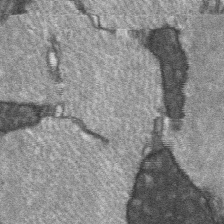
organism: C57BL Mouse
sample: Soleus